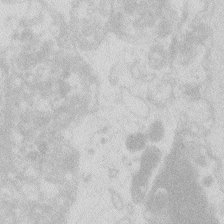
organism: Zebrafish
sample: Macrophage